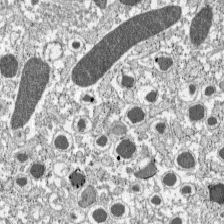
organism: C57BL Mouse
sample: Pancreatic islet